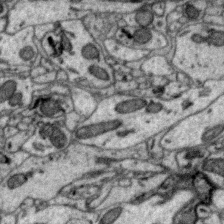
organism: Zebra finch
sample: Brain